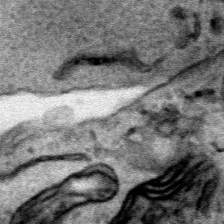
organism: Human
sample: Mitochondria in HCT116 cells